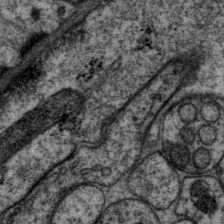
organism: P. pacificus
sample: Pharynx